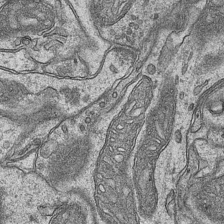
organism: Mouse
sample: CA1 Hippocampus